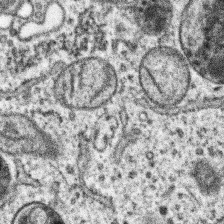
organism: Human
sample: HeLa cells